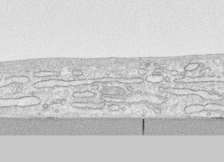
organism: Human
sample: CRL-1474